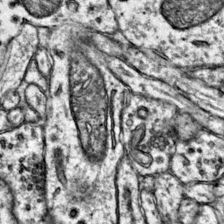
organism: Mouse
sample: Primary visual cortex